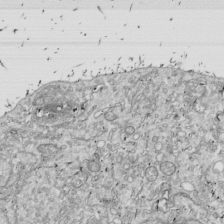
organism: Drosophila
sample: Cell division; meiosis; drosophila spermatocytes